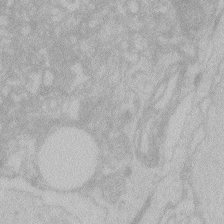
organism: Zebrafish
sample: Macrophage infected with Toxoplasma gondii